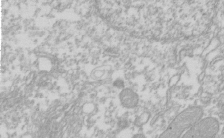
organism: Xenopus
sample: Cilia; centrioles in frog embryo cells